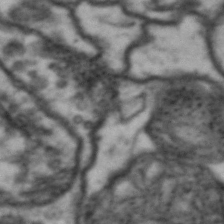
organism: Drosophila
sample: Brain